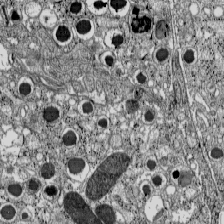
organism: C57BL Mouse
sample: Pancreatic islet